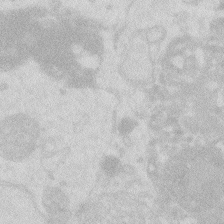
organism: Zebrafish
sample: Macrophage